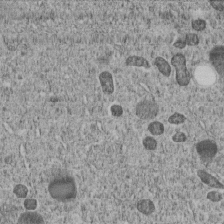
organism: C. elegans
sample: C. elegans embryo early stage